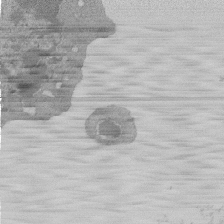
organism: Mouse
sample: Activated Pmel transgenic CD8+ T Cells